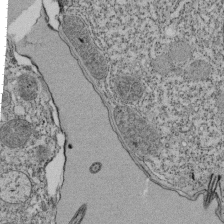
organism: Tetrahymena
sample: Cilia in tetrahymena